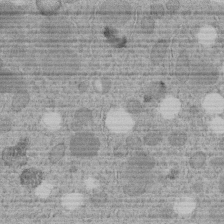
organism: C. elegans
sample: C. elegans embryo early stage